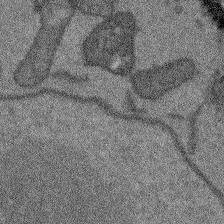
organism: Arabidopsis thaliana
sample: Root tip